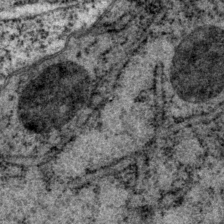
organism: P. pacificus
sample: Pharynx